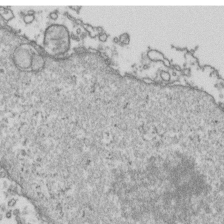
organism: Human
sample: Activated Jurkat CD4+ T cells